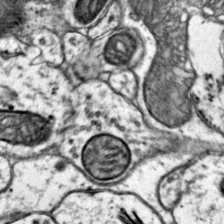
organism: Mouse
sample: Primary visual cortex